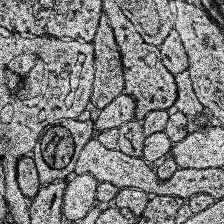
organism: Human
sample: Temporal Lobe